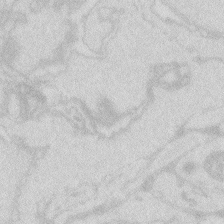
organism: Zebrafish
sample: Macrophage